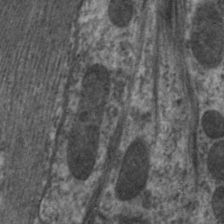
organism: C. elegans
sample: Pharynx